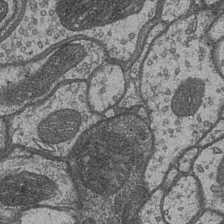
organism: Drosophila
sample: Optic medulla